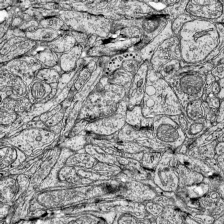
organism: Mouse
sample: Visual Cortex